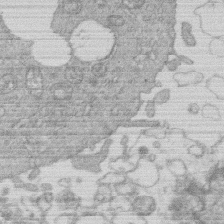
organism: Human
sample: Macrophage cells